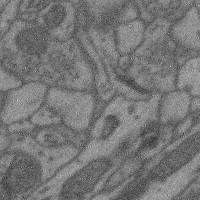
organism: Mouse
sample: Cerebral cortex